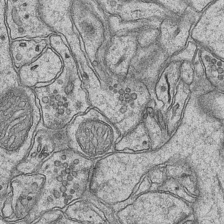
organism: Mouse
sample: CA1 Hippocampus